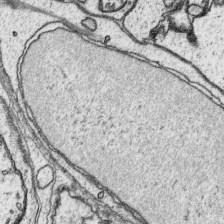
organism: Platynereis dumerilii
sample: Parapodia